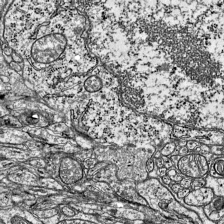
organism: Mouse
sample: Visual Cortex